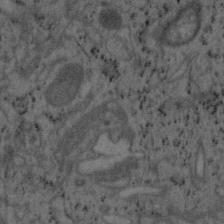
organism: Human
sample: HeLa cells